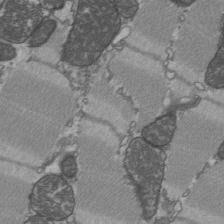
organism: C57BL Mouse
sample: Heart